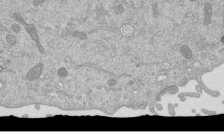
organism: Mouse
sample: ED-1 cell nuclei; centrioles